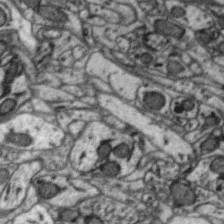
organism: Zebra finch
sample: Brain